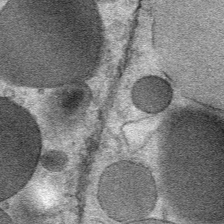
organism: Mouse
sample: Mouse Salivary gland